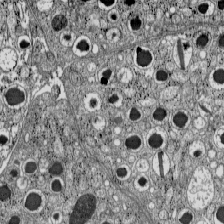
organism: C57BL Mouse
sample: Pancreatic islet